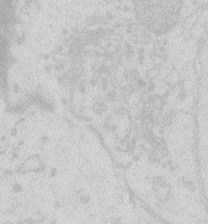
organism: Zebrafish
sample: Macrophage